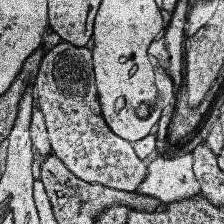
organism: Human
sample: Temporal Lobe